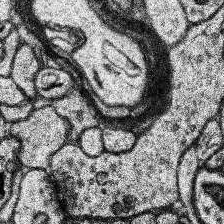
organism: Human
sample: Temporal Lobe